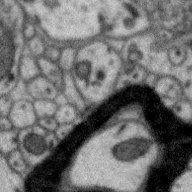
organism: Zebra finch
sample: Brain